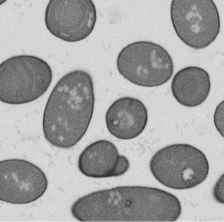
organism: B. subtilis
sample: Bacterial spore